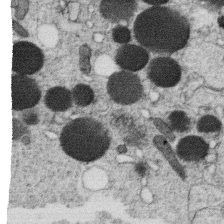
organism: C. elegans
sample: C. elegans oocyte; sperm cells